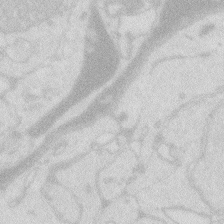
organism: Zebrafish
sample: Macrophage